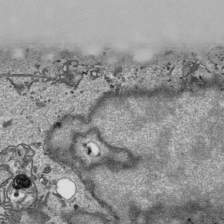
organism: Human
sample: Mitochondria in HCT116 cells